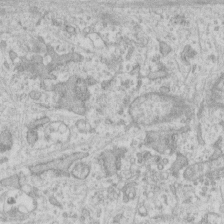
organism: Human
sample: Fibroblast cells